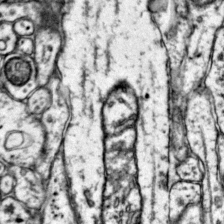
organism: Mouse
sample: Primary visual cortex